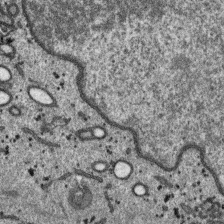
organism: Human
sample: Lung epithelial cells infected with SARS-CoV-2